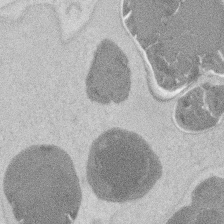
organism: Mouse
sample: T cell stromal cell synapse